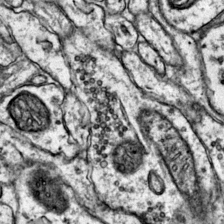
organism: Mouse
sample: Primary visual cortex